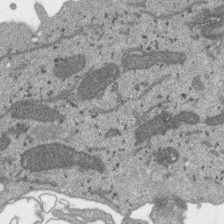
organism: Human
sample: Lung epithelial cells infected with SARS-CoV-2